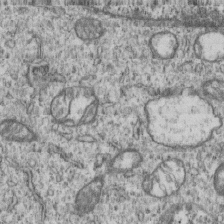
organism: Human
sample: MDA-MB-231 cells